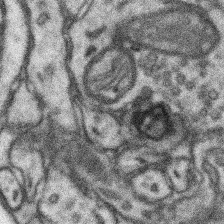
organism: Mouse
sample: Somatosensory cortex neuropil